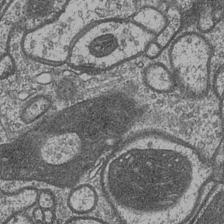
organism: Drosophila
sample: Optic medulla